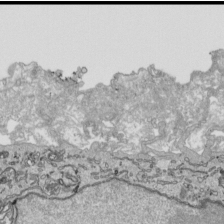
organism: Human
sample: Mitochondria in HCT116 cells